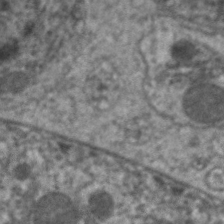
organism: C. elegans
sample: Pharynx